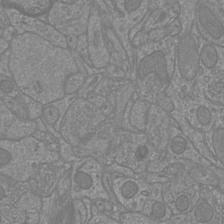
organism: Mouse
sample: Cortical neurons